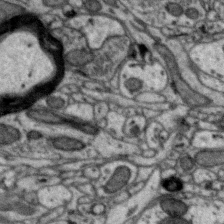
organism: Zebra finch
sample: Brain